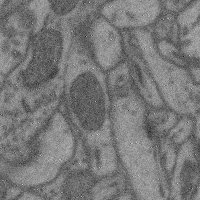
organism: Mouse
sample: Cerebral cortex